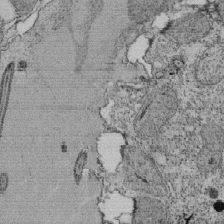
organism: Tetrahymena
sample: Cilia in tetrahymena